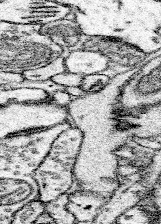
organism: Mouse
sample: Somatosensory cortex neuropil